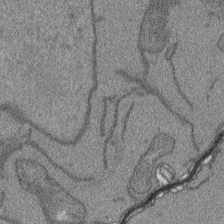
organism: Arabidopsis thaliana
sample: Root tip